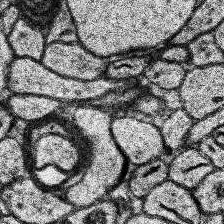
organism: Human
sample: Temporal Lobe